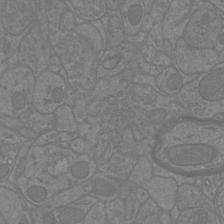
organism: Mouse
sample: Cortical neurons